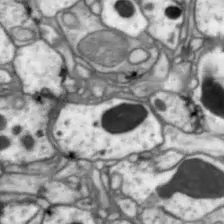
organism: Drosophila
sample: Optic lobe